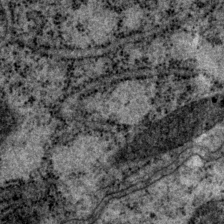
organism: P. pacificus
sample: Pharynx